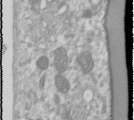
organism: Human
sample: Cilia; basal body in RPE cells